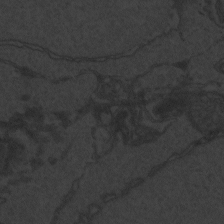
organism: Zebrafish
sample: Macrophage infected with Toxoplasma gondii